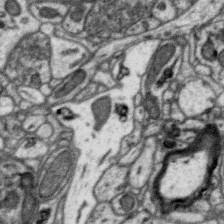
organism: Zebra finch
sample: Brain